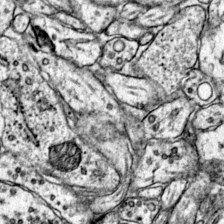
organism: Mouse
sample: Primary visual cortex